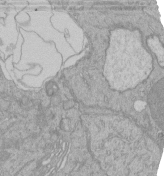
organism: Human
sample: Retinal organoid Rod and Cone cells